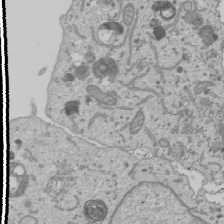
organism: Human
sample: Mitochondria in U2OS cells